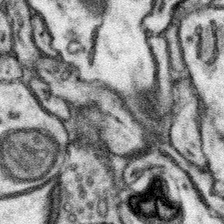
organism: Mouse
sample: Somatosensory cortex neuropil